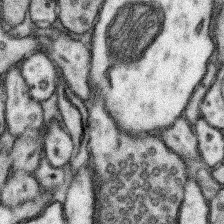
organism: Mouse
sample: Somatosensory cortex neuropil